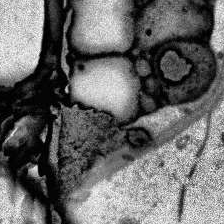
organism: Human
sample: Temporal Lobe